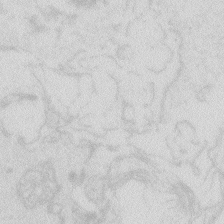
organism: Zebrafish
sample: Macrophage